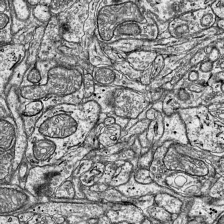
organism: Mouse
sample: Visual Cortex